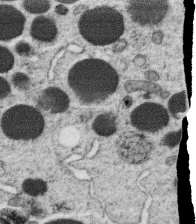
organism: C. elegans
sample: C. elegans oocyte; sperm cells